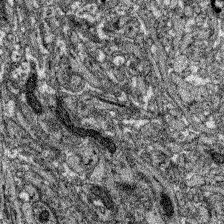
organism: Zebrafish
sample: Larval olfactory bulb